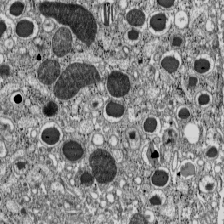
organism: C57BL Mouse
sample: Pancreatic islet